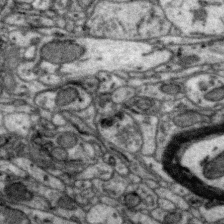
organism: Zebra finch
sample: Brain